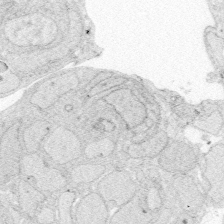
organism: Zebrafish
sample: Whole-Brain